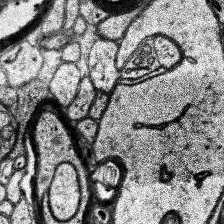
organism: Human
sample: Temporal Lobe